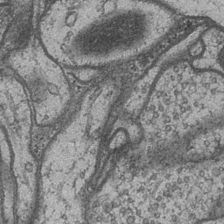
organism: Drosophila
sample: Optic medulla